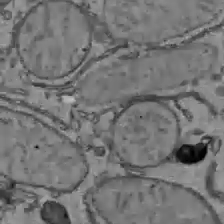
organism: C57BL Mouse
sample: Liver